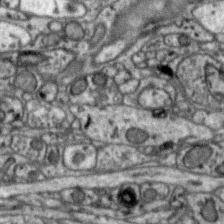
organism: Zebra finch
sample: Brain